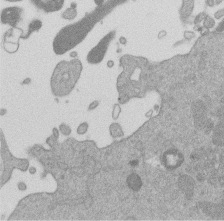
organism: Mouse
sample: Dividing mouse embryo 1 cell stage